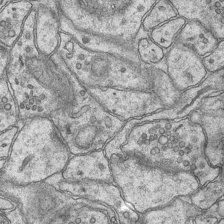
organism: Mouse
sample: CA1 Hippocampus